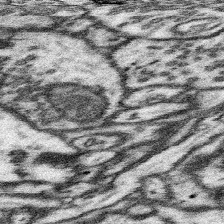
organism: Mouse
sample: Somatosensory cortex neuropil